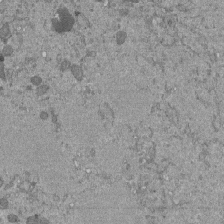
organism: Mouse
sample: ED-1 cell nuclei; centrioles